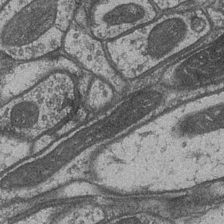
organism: Drosophila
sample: Optic medulla